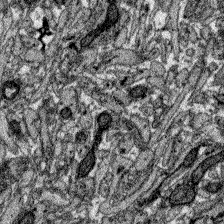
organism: Zebrafish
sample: Larval olfactory bulb